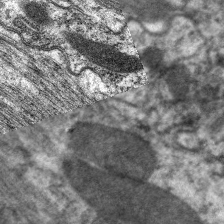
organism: C. elegans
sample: Pharynx